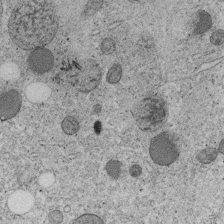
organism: C. elegans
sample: C. elegans embryo early stage